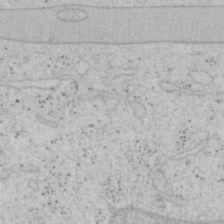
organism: Human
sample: HeLa cells